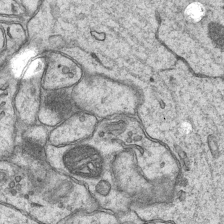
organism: Mouse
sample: CA1 Hippocampus